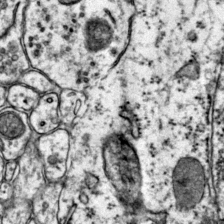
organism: Mouse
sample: Primary visual cortex